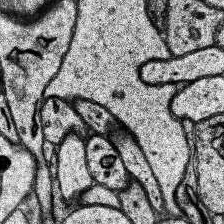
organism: Human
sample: Temporal Lobe